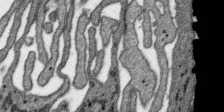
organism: Human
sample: Lung epithelial cells, uninfected (mock) control